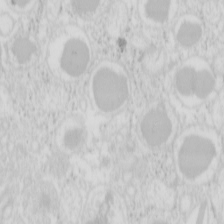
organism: Mouse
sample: Pancreas